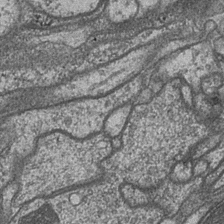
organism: Drosophila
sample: Optic medulla